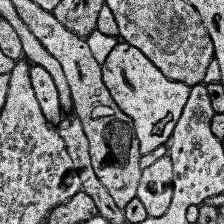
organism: Human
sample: Temporal Lobe